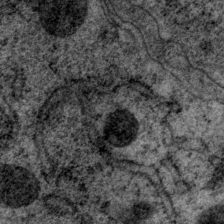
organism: P. pacificus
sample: Pharynx